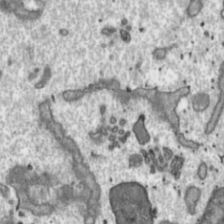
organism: Toxoplasma gondii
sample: Parasites in a vacuole inside a host cell